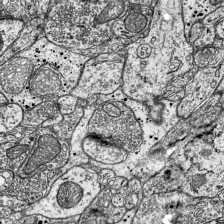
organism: Mouse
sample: Visual Cortex